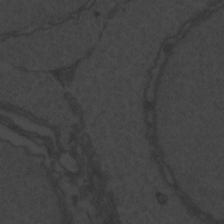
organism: Zebrafish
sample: Macrophage infected with Toxoplasma gondii